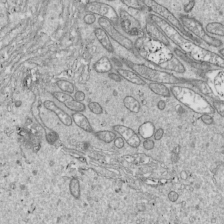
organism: Drosophila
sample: Cell division; meiosis; drosophila spermatocytes